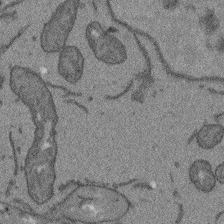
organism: Arabidopsis thaliana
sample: Root tip